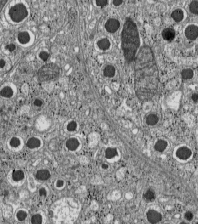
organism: C57BL Mouse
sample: Pancreatic islet